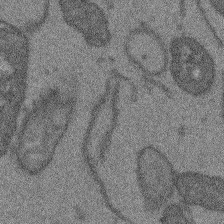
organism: Arabidopsis thaliana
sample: Root tip